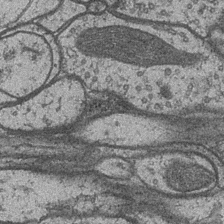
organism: Drosophila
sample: Optic medulla